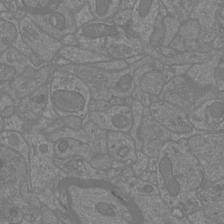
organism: Mouse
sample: Cortical neurons